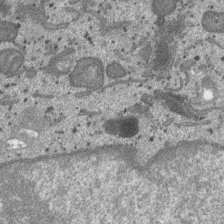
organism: Human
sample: Lung epithelial cells infected with SARS-CoV-2